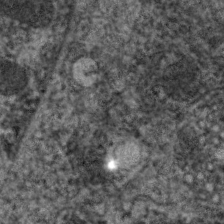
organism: C. elegans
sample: Pharynx